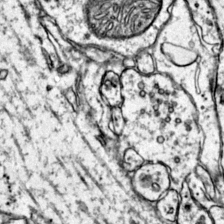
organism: Mouse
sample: Primary visual cortex